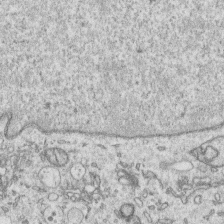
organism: Human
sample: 1205lu cells